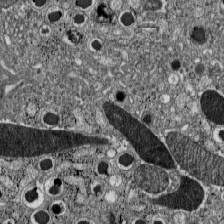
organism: C57BL Mouse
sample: Pancreatic islet